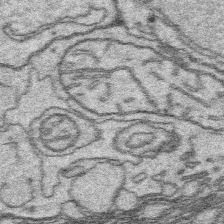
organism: Platynereis dumerilii